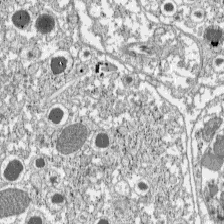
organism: C57BL Mouse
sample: Pancreatic islet